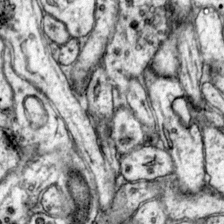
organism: Mouse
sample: Primary visual cortex